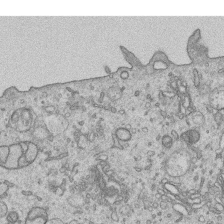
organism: Human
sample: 1205lu cells